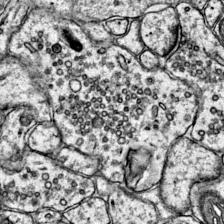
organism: Mouse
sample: Primary visual cortex